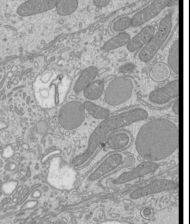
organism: Mouse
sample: Cilia; mouse epididymis